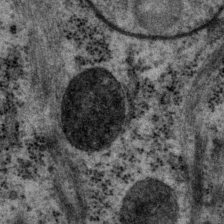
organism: P. pacificus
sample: Pharynx